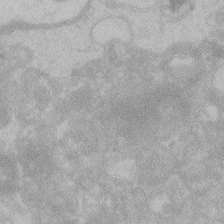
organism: Zebrafish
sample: Macrophage infected with Toxoplasma gondii